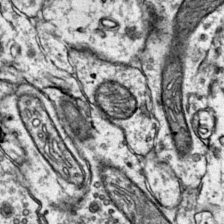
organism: Mouse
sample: Primary visual cortex